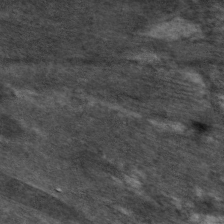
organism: C. elegans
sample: Pharynx